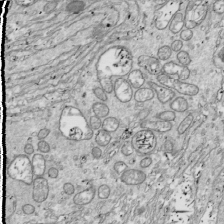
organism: Drosophila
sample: Cell division; meiosis; drosophila spermatocytes